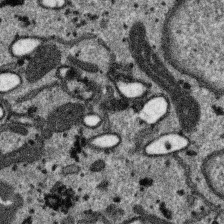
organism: Human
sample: Lung epithelial cells infected with SARS-CoV-2